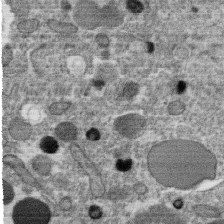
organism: C. elegans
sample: C. elegans oocyte; sperm cells